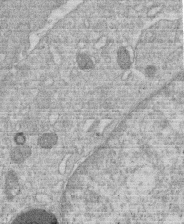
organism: Human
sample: Macrophage cells